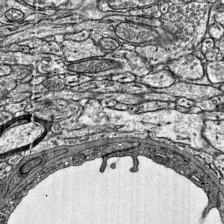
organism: Mouse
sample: Visual Cortex